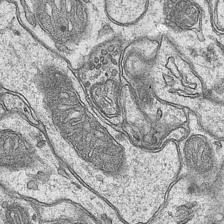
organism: Mouse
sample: CA1 Hippocampus